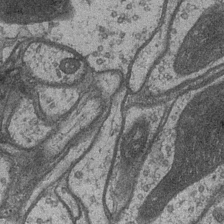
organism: Drosophila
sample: Optic medulla